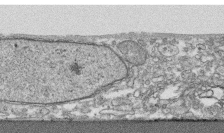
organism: Human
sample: CRL-1474